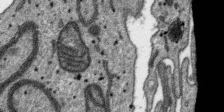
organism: Human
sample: Lung epithelial cells, uninfected (mock) control